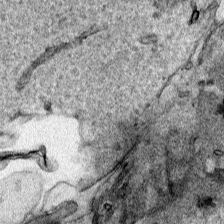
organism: Human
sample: Mitochondria in HCT116 cells